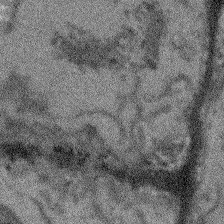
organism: Arabidopsis thaliana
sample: Root tip